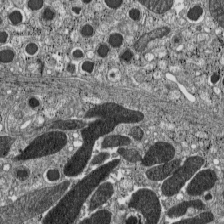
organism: C57BL Mouse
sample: Pancreatic islet